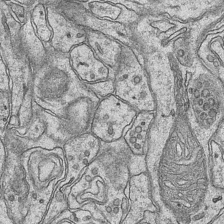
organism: Mouse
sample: CA1 Hippocampus